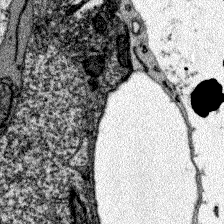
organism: Zebrafish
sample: Larval olfactory bulb